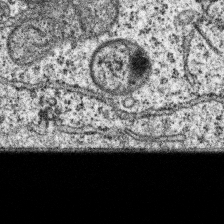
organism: Human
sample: HeLa cells